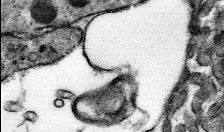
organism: Mouse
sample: Mouse hepatocytes